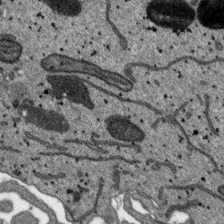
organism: Human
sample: Lung epithelial cells, uninfected (mock) control